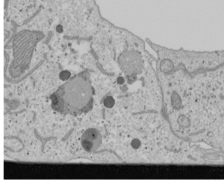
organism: Human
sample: Mitochondria in U2OS cells